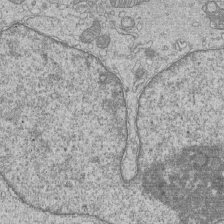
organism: Human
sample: MDA-MB-231 cells